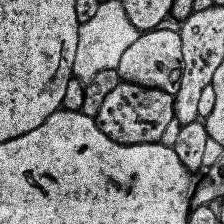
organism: Human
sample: Temporal Lobe